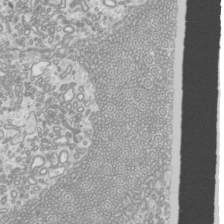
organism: Mouse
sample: Cilia; mouse epididymis